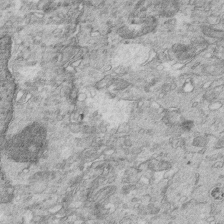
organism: Mouse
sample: Multiciliated cells